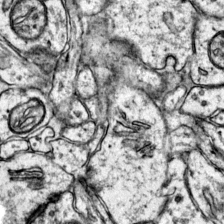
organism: Mouse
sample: Primary visual cortex